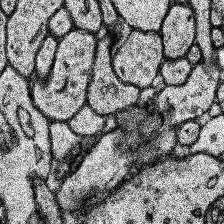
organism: Human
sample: Temporal Lobe